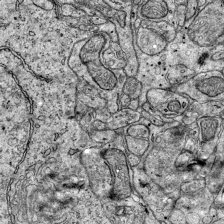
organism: Mouse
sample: Visual Cortex